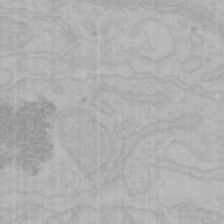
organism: Mouse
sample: Choroid plexus